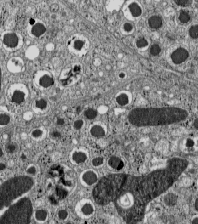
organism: C57BL Mouse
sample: Pancreatic islet